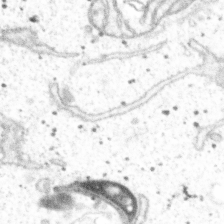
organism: Human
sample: HeLa cells